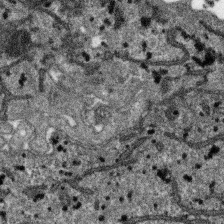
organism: Human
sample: Lung epithelial cells infected with SARS-CoV-2